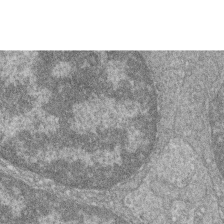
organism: Zebrafish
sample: Cilia; retinal pigment epithelium